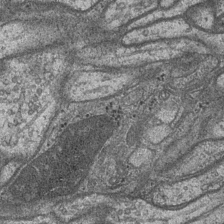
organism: Drosophila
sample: Optic medulla